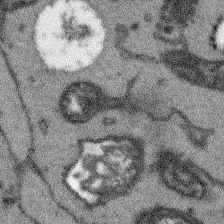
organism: Arabidopsis thaliana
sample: Root tip